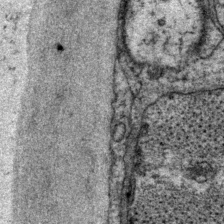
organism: P. pacificus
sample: Pharynx